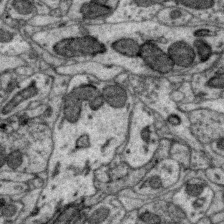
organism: Zebra finch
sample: Brain